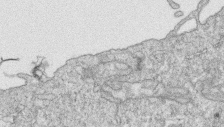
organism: Human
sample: HeLa cell HIV synapse